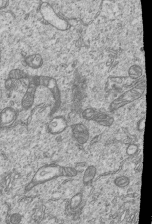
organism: Human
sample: MDA-MB-231 cells